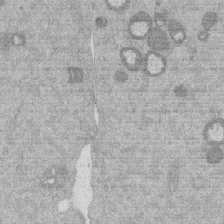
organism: Mouse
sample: Dividing mouse embryo 1 cell stage